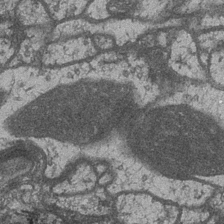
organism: Drosophila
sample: Optic medulla